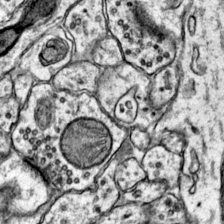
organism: Mouse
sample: Primary visual cortex